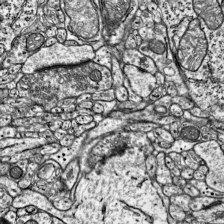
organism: Mouse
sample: Visual Cortex